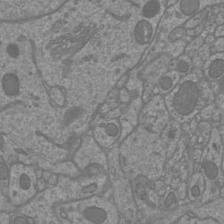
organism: Mouse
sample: Cortical neurons